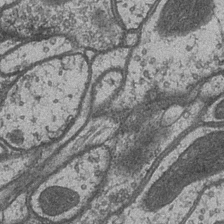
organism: Drosophila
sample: Optic medulla